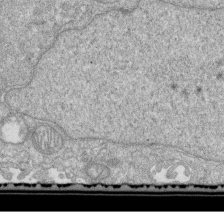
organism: Human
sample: HeLa cell HIV synapse